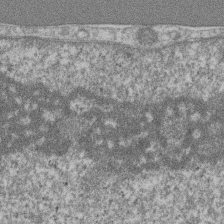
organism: Mouse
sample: T cell stromal cell synapse